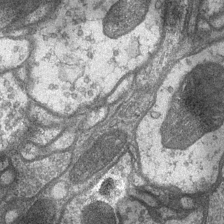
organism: Drosophila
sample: Optic medulla